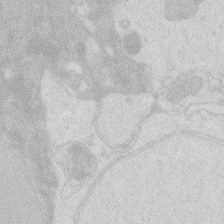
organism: Zebrafish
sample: Macrophage